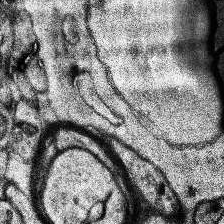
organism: Human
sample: Temporal Lobe